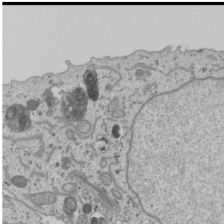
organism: Human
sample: Mitochondria in U2OS cells